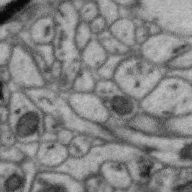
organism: Zebra finch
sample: Brain